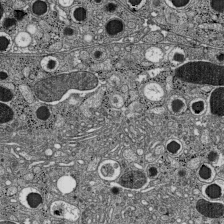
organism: C57BL Mouse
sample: Pancreatic islet